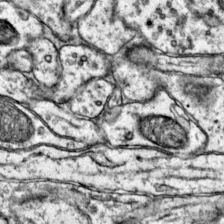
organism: Mouse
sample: Primary visual cortex